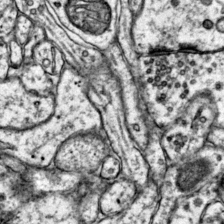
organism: Mouse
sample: Primary visual cortex